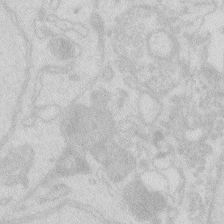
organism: Zebrafish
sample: Macrophage